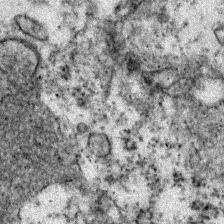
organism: Zebrafish